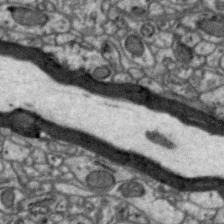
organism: Zebra finch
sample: Brain